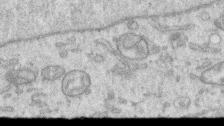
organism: Human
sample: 1205lu cells